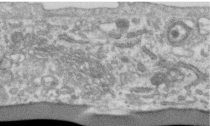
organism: Human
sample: Centriole in RPE cells